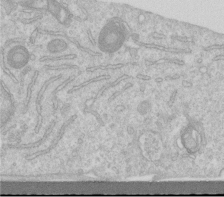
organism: Human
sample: Centriole in RPE cells